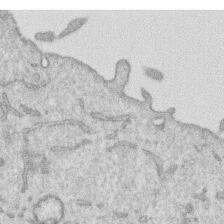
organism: Human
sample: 1205lu cells